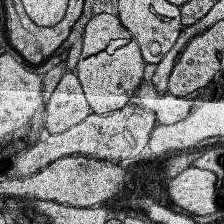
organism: Human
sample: Temporal Lobe